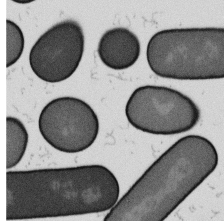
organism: B. subtilis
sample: Bacterial spore